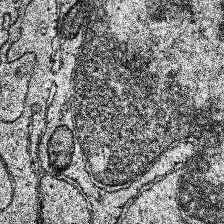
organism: Human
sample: Temporal Lobe